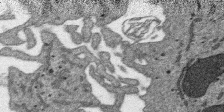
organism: Human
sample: Lung epithelial cells infected with SARS-CoV-2